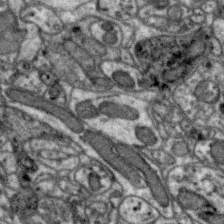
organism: Zebra finch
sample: Brain